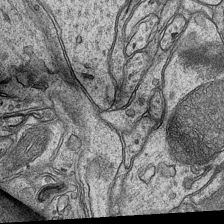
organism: Mouse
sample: CA1 Hippocampus